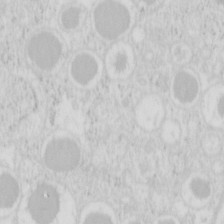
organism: Mouse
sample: Pancreas